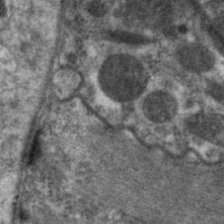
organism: C. elegans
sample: Pharynx